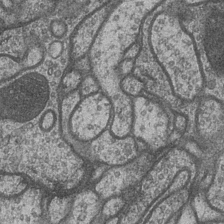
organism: Drosophila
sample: Optic medulla